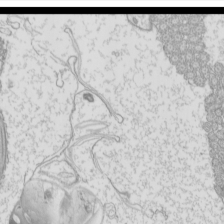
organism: Mouse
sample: Cilia; mouse epididymis